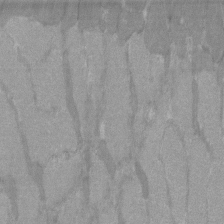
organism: C57BL Mouse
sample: Tibialis anterior muscle cell